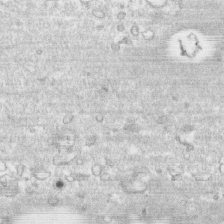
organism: Human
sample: CRL-1474